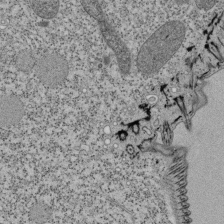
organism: Tetrahymena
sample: Cilia in tetrahymena